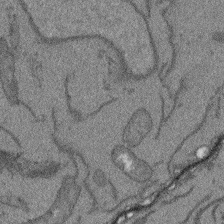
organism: Arabidopsis thaliana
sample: Root tip